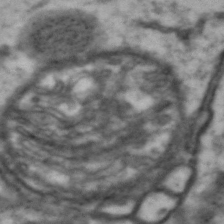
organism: Drosophila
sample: Brain